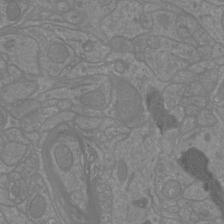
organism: Mouse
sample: Cortical neurons